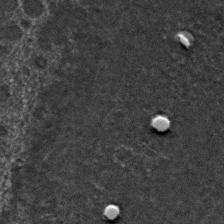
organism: C. elegans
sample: C. elegans embryo